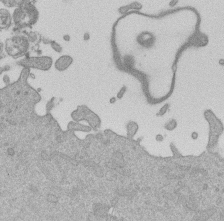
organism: Mouse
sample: Dividing mouse embryo 1 cell stage